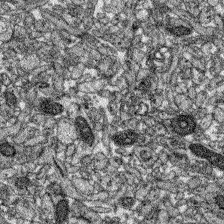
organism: Zebrafish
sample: Larval olfactory bulb